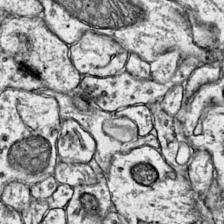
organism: Mouse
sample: Primary visual cortex